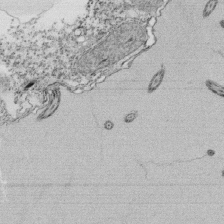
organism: Tetrahymena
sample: Cilia in tetrahymena